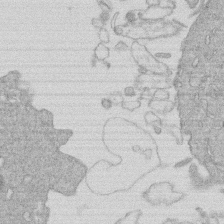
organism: Human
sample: Macrophage cells